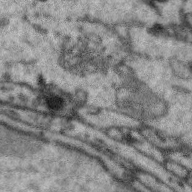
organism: Zebra finch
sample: Brain